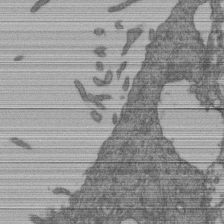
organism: Human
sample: Retinal organoid Rod and Cone cells